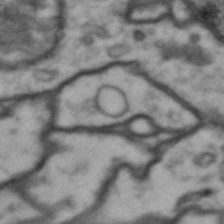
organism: Drosophila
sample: Brain